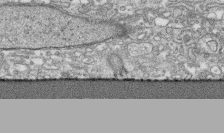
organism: Human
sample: CRL-1474